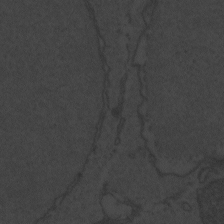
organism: Zebrafish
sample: Macrophage infected with Toxoplasma gondii